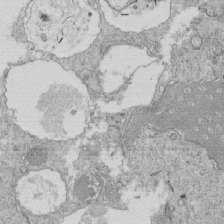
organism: Tetrahymena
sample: Cilia in tetrahymena